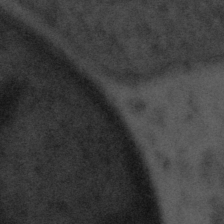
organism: Tuwongella immobilis